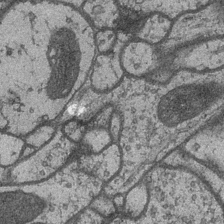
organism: Drosophila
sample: Optic medulla